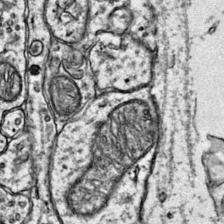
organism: Mouse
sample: Primary visual cortex